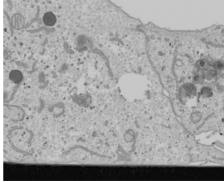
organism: Human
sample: Mitochondria in U2OS cells